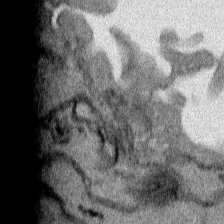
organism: Human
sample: Mitochondria in HCT116 cells